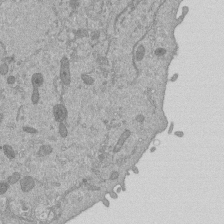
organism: Mouse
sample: ED-1 cell nuclei; centrioles